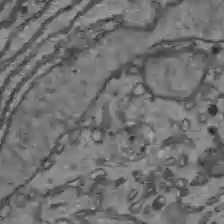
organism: C57BL Mouse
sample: Liver